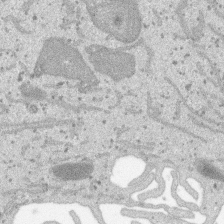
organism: Human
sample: Lung epithelial cells infected with SARS-CoV-2